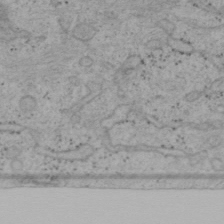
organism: Human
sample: HeLa cells